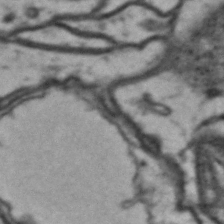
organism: Drosophila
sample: Brain